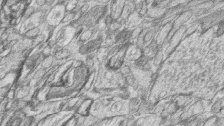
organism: Zebrafish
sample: synaptic ribbons in rod cells and cone cells